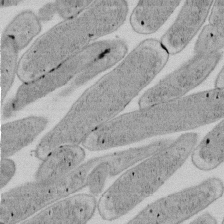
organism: E. coli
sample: Bacterial nucleoid